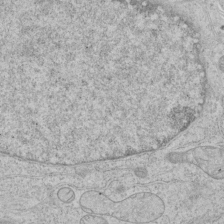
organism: Human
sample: Mitochondria in HCT116 cells